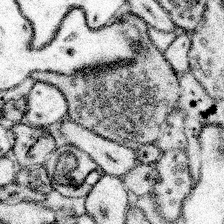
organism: Mouse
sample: Somatosensory cortex neuropil